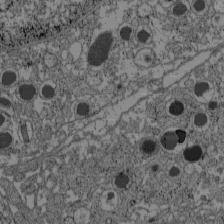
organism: C57BL Mouse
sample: Pancreatic islet